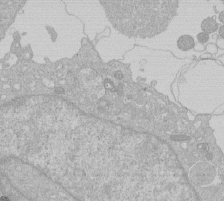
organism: Human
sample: Macrophage cells